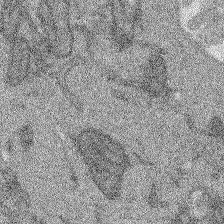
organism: Human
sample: HeLa cells